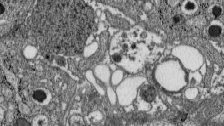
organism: C57BL Mouse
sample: Pancreatic islet